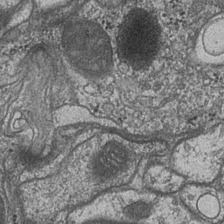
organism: Drosophila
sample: Optic medulla